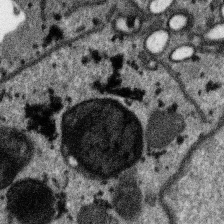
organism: Human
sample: Lung epithelial cells infected with SARS-CoV-2